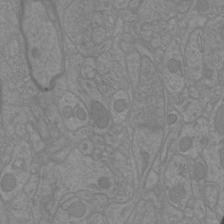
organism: Mouse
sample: Cortical neurons